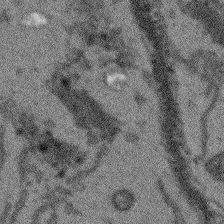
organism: Arabidopsis thaliana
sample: Root tip